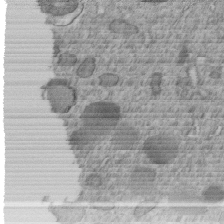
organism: C. elegans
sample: C. elegans embryo early stage